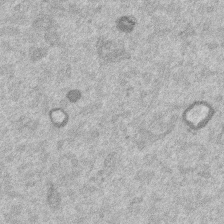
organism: Mouse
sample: Dividing mouse embryo 1 cell stage